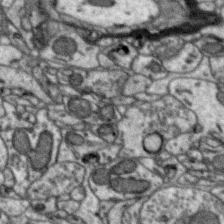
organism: Zebra finch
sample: Brain